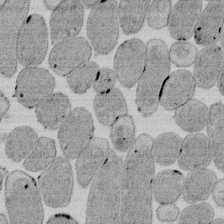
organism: E. coli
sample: Bacterial nucleoid